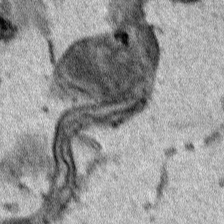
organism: Human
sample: Mitochondria in HCT116 cells